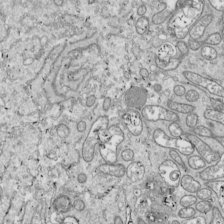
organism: Drosophila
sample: Cell division; meiosis; drosophila spermatocytes